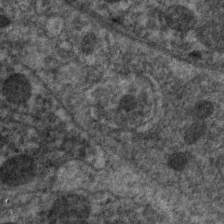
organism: C. elegans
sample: Pharynx